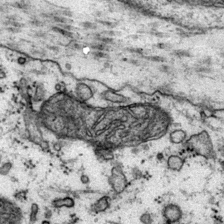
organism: Mouse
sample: Primary visual cortex